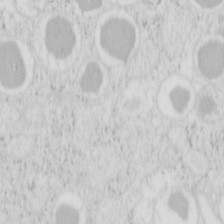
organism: Mouse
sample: Pancreas